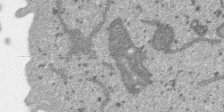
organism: Human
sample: Lung epithelial cells infected with SARS-CoV-2